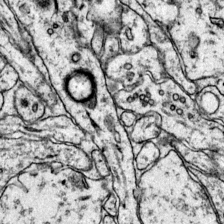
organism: Mouse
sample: Primary visual cortex